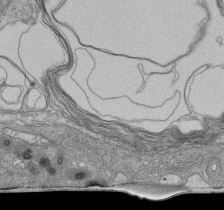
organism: Human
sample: Retinal organoid Rod and Cone cells